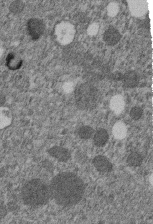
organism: C. elegans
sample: C. elegans embryo early stage